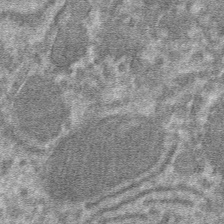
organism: Mouse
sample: Mouse hepatocytes